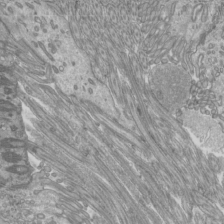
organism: Mouse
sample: Cilia; mouse epididymis